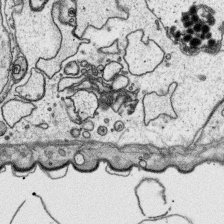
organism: Platynereis dumerilii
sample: Parapodia